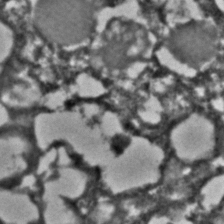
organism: C. elegans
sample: C. elegans embryo